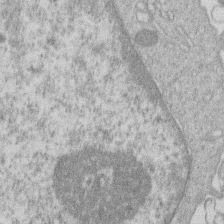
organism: Human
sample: Macrophage cells